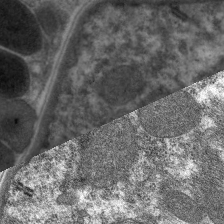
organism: C. elegans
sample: Pharynx